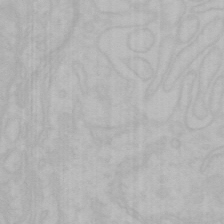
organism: Mouse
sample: Choroid plexus